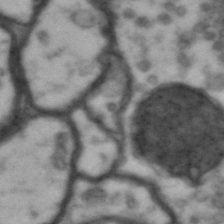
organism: Drosophila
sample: Brain